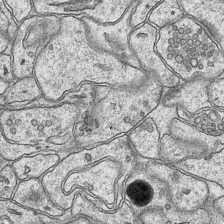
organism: Mouse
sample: CA1 Hippocampus